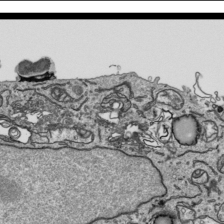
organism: Human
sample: Mitochondria in HCT116 cells